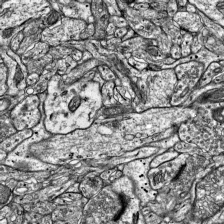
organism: Mouse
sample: Visual Cortex